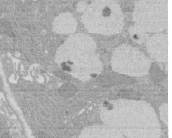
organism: Rat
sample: Salivary granule